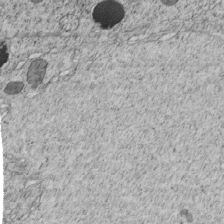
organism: C. elegans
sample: C. elegans embryo early stage